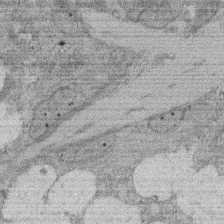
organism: Rat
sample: Salivary granule